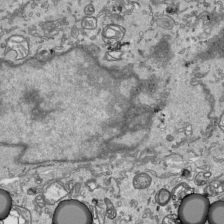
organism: Human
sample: Mitochondria in HCT116 cells